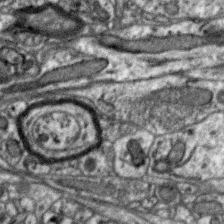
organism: Zebra finch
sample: Brain